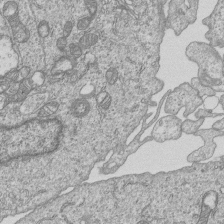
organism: Human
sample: MDA-MB-231 cells